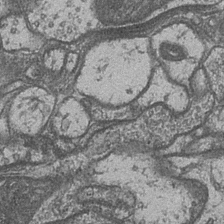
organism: Drosophila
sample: Optic medulla